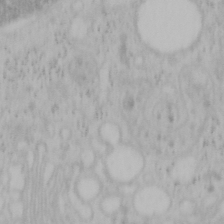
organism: Mouse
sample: OT-I killer T cells with ID8 ovarian cancer cells